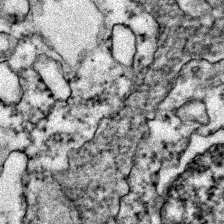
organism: Zebrafish